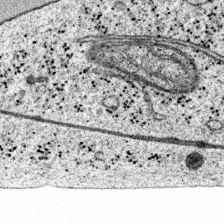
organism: Human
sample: HeLa cells